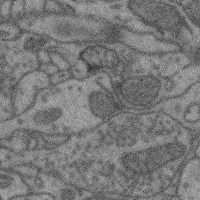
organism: Mouse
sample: Cerebral cortex